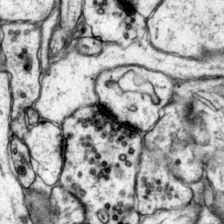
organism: Mouse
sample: Primary visual cortex